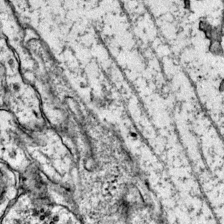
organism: Mouse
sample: Primary visual cortex